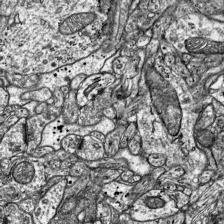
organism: Mouse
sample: Visual Cortex